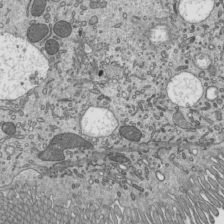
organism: Mouse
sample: Mouse epididymis efferent ductule cilia